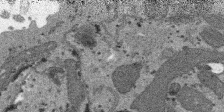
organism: Human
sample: Lung epithelial cells infected with SARS-CoV-2